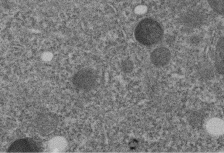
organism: C. elegans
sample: C. elegans embryo early stage